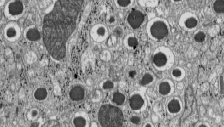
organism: C57BL Mouse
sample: Pancreatic islet